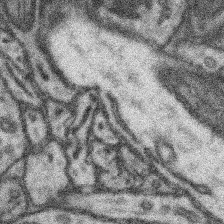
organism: Mouse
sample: Somatosensory cortex neuropil